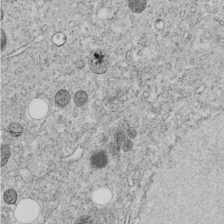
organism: C. elegans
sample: C. elegans embryo early stage